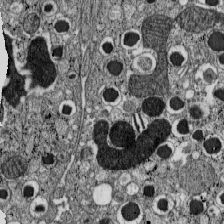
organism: C57BL Mouse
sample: Pancreatic islet